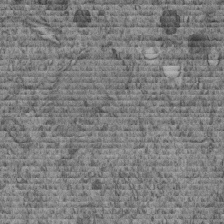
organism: C. elegans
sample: C. elegans embryo early stage